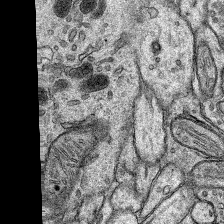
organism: Rat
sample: Hippocampus